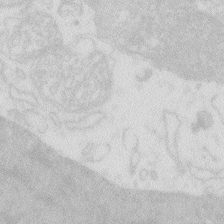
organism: Zebrafish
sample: Macrophage